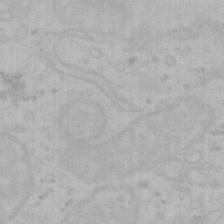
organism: Mouse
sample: Choroid plexus